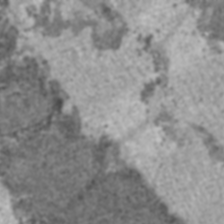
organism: C57BL Mouse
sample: Heart